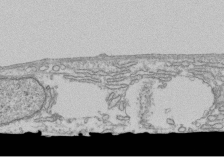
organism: Human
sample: Fibroblast cells